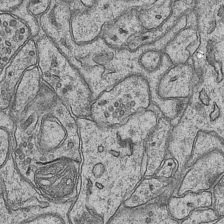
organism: Mouse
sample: CA1 Hippocampus